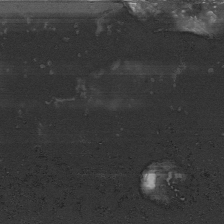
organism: Human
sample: Mitochondria in HCT116 cells